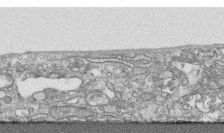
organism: Human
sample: CRL-1474